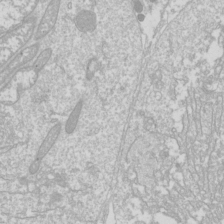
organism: Drosophila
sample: Cell division; meiosis; drosophila spermatocytes